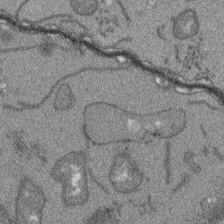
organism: Arabidopsis thaliana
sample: Root tip